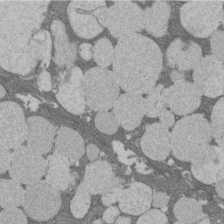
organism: Rat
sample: Salivary granule